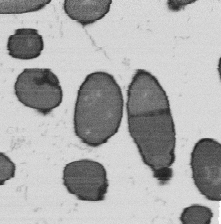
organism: B. subtilis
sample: Bacterial spore